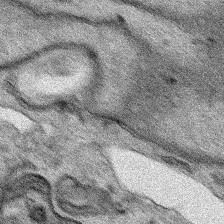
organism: Human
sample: Mitochondria in HCT116 cells